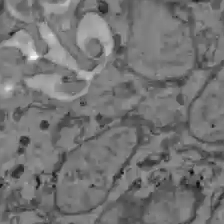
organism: C57BL Mouse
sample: Liver